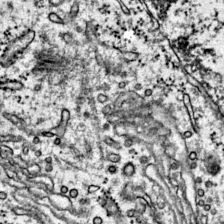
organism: Mouse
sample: Primary visual cortex